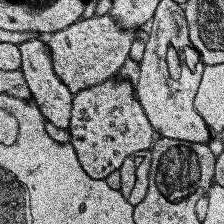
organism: Human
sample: Temporal Lobe